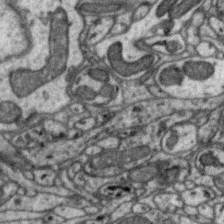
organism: Zebra finch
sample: Brain